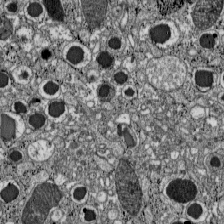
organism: C57BL Mouse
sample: Pancreatic islet